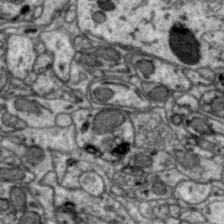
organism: Zebra finch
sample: Brain